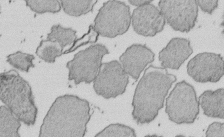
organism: E. coli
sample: Bacterial nucleoid